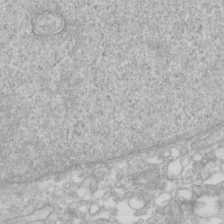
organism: Human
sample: Fibroblast cells